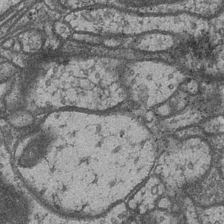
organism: Drosophila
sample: Optic medulla